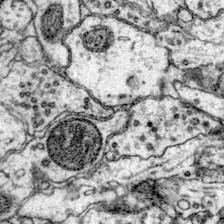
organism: Mouse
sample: Primary visual cortex